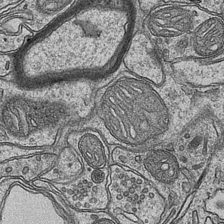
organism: Mouse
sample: CA1 Hippocampus